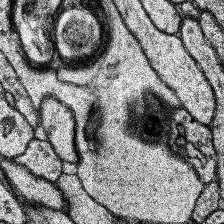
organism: Human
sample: Temporal Lobe